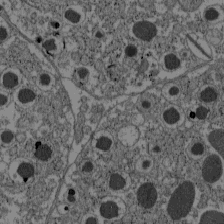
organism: C57BL Mouse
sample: Pancreatic islet